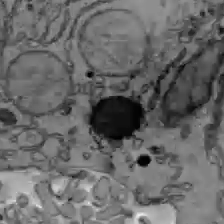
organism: C57BL Mouse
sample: Liver